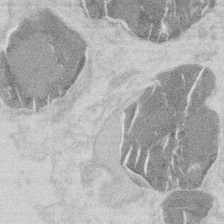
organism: Mouse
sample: T cell stromal cell synapse